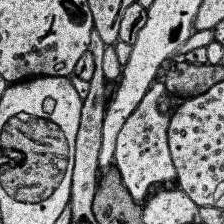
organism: Human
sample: Temporal Lobe